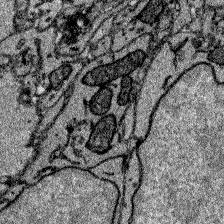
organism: Zebrafish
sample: Larval olfactory bulb